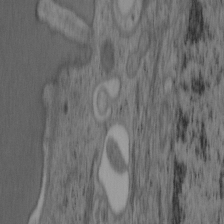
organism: Human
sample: HeLa cells